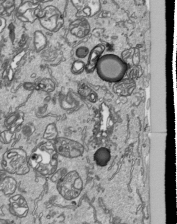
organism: Human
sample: Mitochondria in HCT116 cells